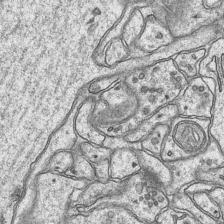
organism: Mouse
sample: CA1 Hippocampus